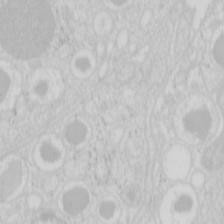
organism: Mouse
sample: Pancreas